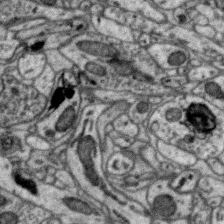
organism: Zebra finch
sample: Brain